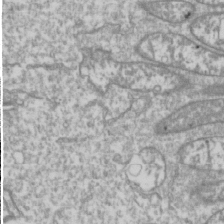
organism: Drosophila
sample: Cell division; meiosis; drosophila spermatocytes